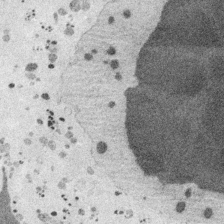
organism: Embia sp.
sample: Silk gland